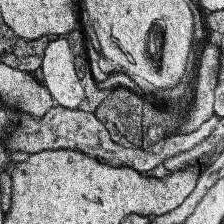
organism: Human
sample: Temporal Lobe